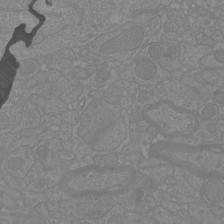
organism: Mouse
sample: Cortical neurons